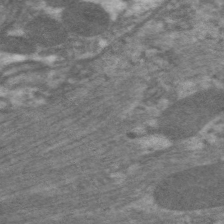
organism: C. elegans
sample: Pharynx